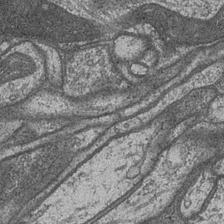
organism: Drosophila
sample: Optic medulla